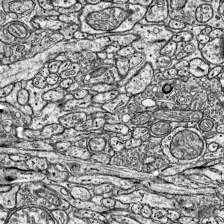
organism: Mouse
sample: Visual Cortex